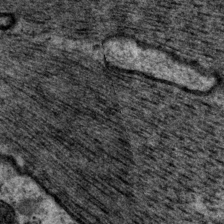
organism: P. pacificus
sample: Pharynx